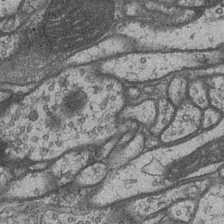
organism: Drosophila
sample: Optic medulla